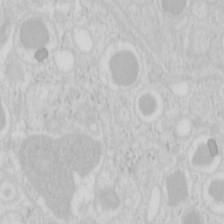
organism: Mouse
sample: Pancreas